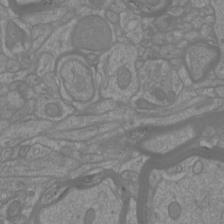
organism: Mouse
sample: Cortical neurons